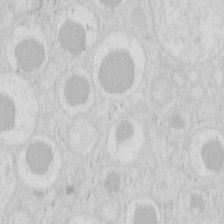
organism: Mouse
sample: Pancreas